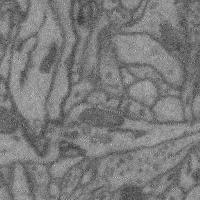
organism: Mouse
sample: Cerebral cortex